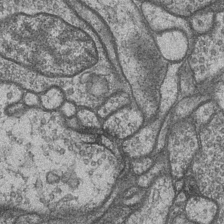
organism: Drosophila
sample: Optic medulla